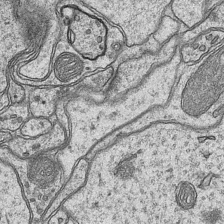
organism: Mouse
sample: CA1 Hippocampus